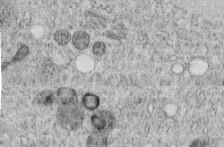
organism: C. elegans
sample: C. elegans embryo early stage